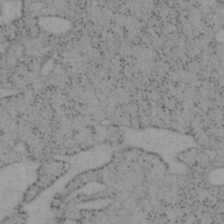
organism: Mouse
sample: OT-I killer T cells with ID8 ovarian cancer cells